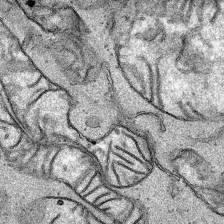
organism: Human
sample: Mitochondria in HCT116 cells